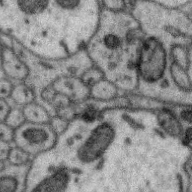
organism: Zebra finch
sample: Brain